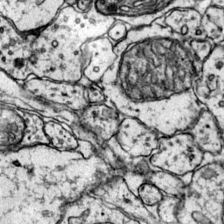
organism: Mouse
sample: Primary visual cortex